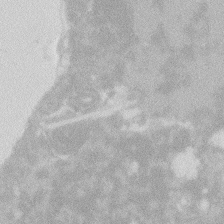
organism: Zebrafish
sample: Macrophage